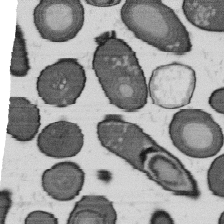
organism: B. subtilis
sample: Bacterial spore